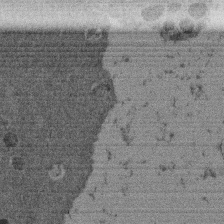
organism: Mouse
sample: Dividing mouse embryo 1 cell stage